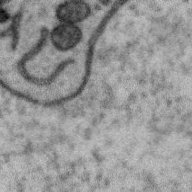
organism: Zebra finch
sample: Brain